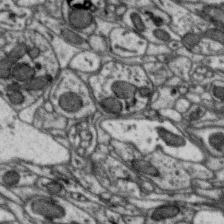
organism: Zebra finch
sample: Brain